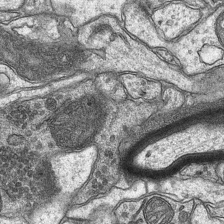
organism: Mouse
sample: CA1 Hippocampus